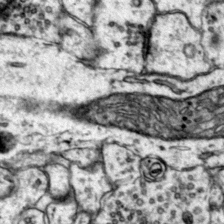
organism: Mouse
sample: Primary visual cortex